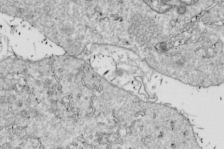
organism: Drosophila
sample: Cell division; meiosis; drosophila spermatocytes